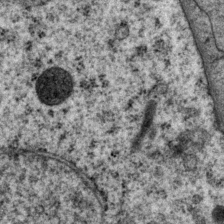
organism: P. pacificus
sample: Pharynx